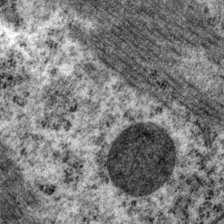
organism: P. pacificus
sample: Pharynx